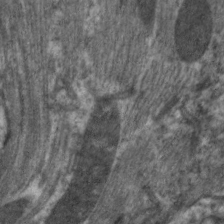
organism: C. elegans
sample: Pharynx